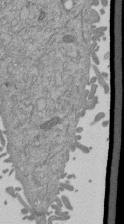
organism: Mouse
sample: ED-1 cell nuclei; centrioles